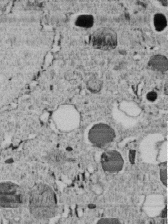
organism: C. elegans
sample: C. elegans embryo early stage